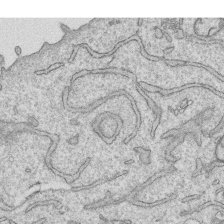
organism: Human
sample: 1205lu cells